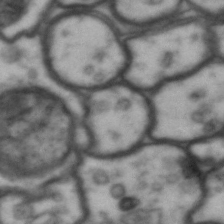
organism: Drosophila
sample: Brain